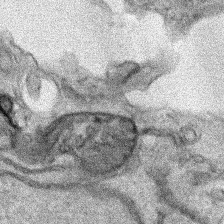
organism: Human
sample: Mitochondria in HCT116 cells